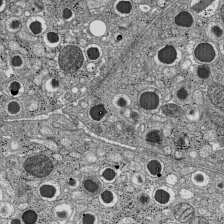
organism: C57BL Mouse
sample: Pancreatic islet